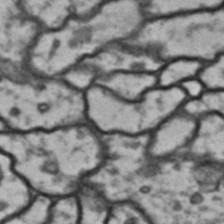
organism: Drosophila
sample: Brain